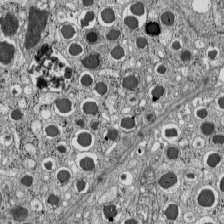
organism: C57BL Mouse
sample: Pancreatic islet